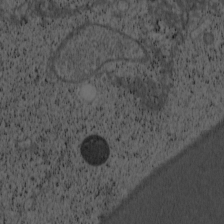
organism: African green monkey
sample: COS-7 cells